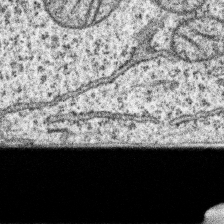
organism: Human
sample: HeLa cells